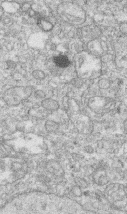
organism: Human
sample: HeLa cell HIV synapse